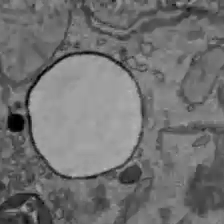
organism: C57BL Mouse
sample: Liver